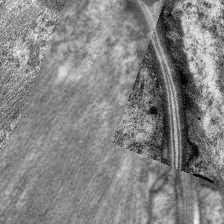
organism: C. elegans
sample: Pharynx